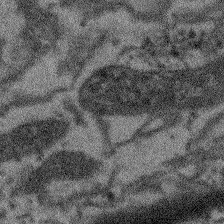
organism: Arabidopsis thaliana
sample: Root tip